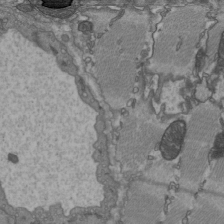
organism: C57BL Mouse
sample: Heart